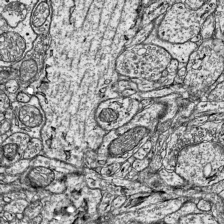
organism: Mouse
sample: Visual Cortex